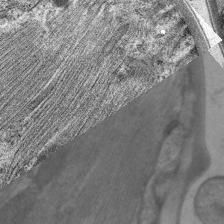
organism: C. elegans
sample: Pharynx